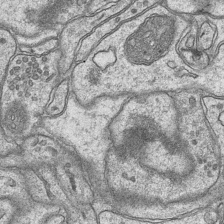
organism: Mouse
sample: CA1 Hippocampus